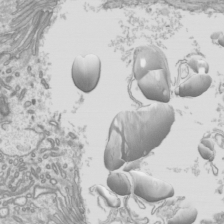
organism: Mouse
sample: Cilia; mouse epididymis